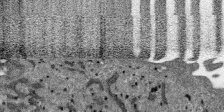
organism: Human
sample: Lung epithelial cells, uninfected (mock) control